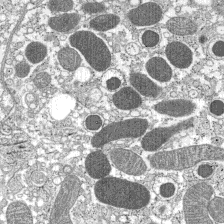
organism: C57BL Mouse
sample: Pancreatic islet